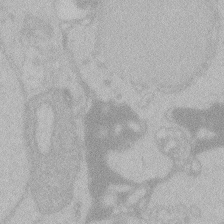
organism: Zebrafish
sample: Macrophage infected with Toxoplasma gondii